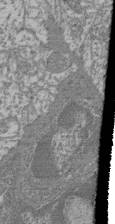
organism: Mouse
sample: Glomerulus